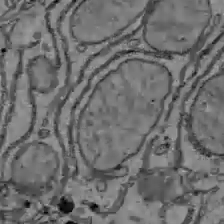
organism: C57BL Mouse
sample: Liver